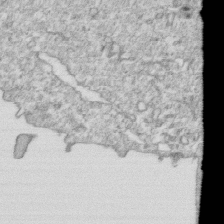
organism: Mouse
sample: Activated OT-1 CD8+ T cells